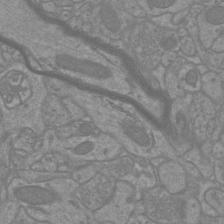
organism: Mouse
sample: Cortical neurons